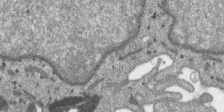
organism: Human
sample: Lung epithelial cells infected with SARS-CoV-2